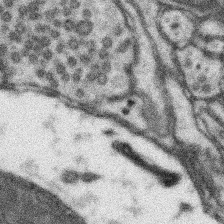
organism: Mouse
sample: Somatosensory cortex neuropil